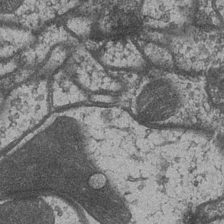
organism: Drosophila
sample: Optic medulla